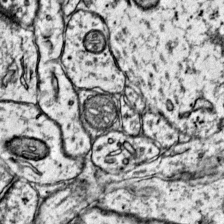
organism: Mouse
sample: Primary visual cortex